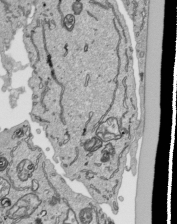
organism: Human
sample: Mitochondria in HCT116 cells